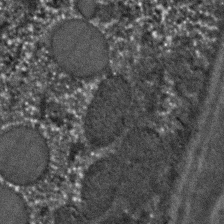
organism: C. elegans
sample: C. elegans embryo